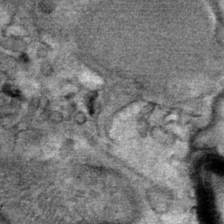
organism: Mouse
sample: Mouse Salivary gland